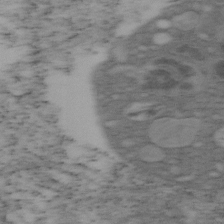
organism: Mouse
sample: OT-I killer T cells with ID8 ovarian cancer cells